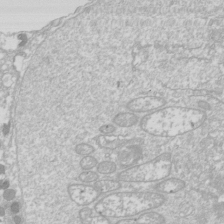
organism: Drosophila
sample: Cell division; meiosis; drosophila spermatocytes